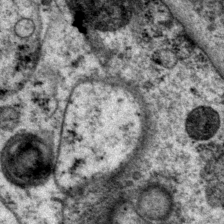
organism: P. pacificus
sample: Pharynx